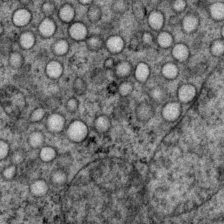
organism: P. pacificus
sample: Pharynx